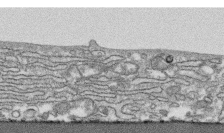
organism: Human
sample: CRL-1474